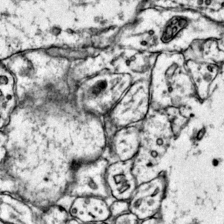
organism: Mouse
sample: Primary visual cortex